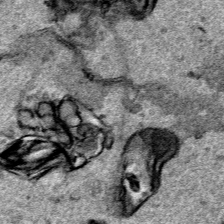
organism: Human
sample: Mitochondria in HCT116 cells